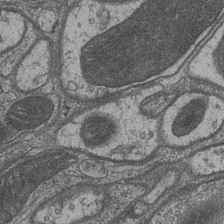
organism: Drosophila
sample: Optic medulla